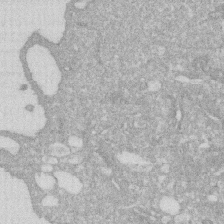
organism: Human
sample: HIV infected U937 cells